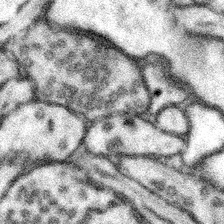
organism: Mouse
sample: Somatosensory cortex neuropil